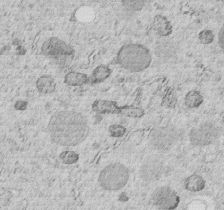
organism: C. elegans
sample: C. elegans embryo early stage